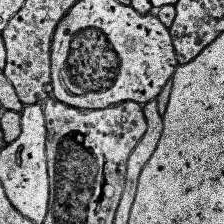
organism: Human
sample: Temporal Lobe